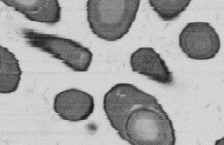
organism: B. subtilis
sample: Bacterial spore